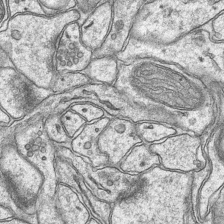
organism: Mouse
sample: CA1 Hippocampus